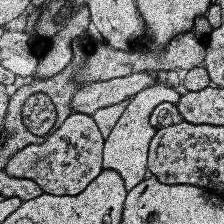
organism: Human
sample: Temporal Lobe